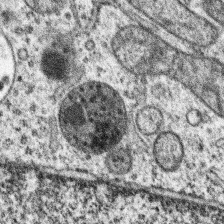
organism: Human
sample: HeLa cells